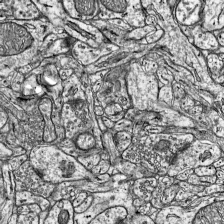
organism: Mouse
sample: Visual Cortex